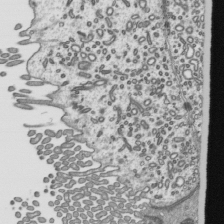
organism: Mouse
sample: Mouse epididymis efferent ductule cilia